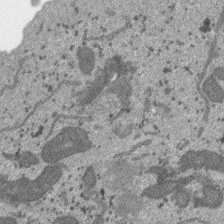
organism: Human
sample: Lung epithelial cells infected with SARS-CoV-2